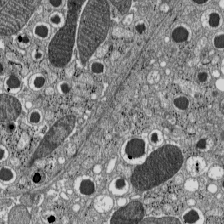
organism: C57BL Mouse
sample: Pancreatic islet